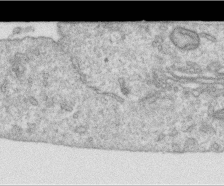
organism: Human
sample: Centriole in RPE cells